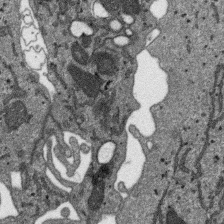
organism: Human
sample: Lung epithelial cells infected with SARS-CoV-2